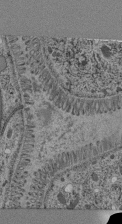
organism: C. elegans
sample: C. elegans pharynx